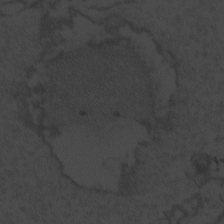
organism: Zebrafish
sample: Macrophage infected with Toxoplasma gondii